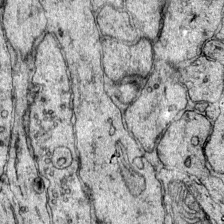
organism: Mouse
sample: Primary visual cortex